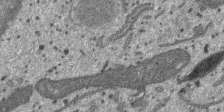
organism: Human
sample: Lung epithelial cells infected with SARS-CoV-2